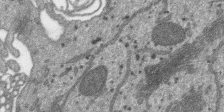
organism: Human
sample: Lung epithelial cells infected with SARS-CoV-2